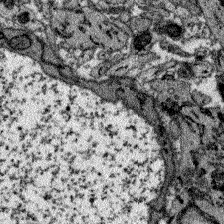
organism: Zebrafish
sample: Larval olfactory bulb